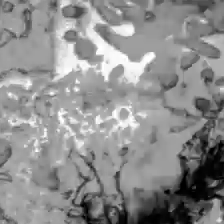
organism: C57BL Mouse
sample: Liver